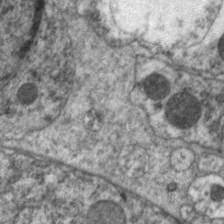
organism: C. elegans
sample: Pharynx